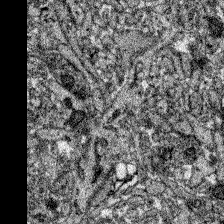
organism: Zebrafish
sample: Larval olfactory bulb